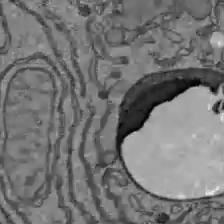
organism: C57BL Mouse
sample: Liver